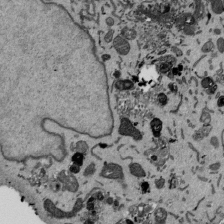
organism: Mouse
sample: ED-1 cell nuclei; centrioles